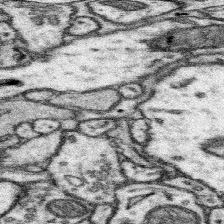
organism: Mouse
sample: Somatosensory cortex neuropil